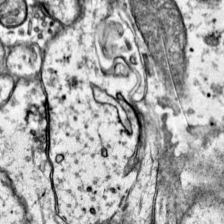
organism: Mouse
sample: Primary visual cortex